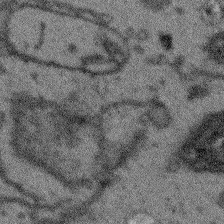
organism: Arabidopsis thaliana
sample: Root tip